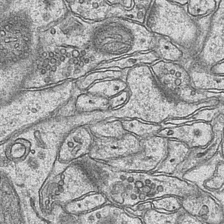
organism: Mouse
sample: CA1 Hippocampus